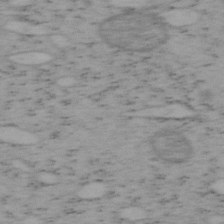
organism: Mouse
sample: OT-I killer T cells with ID8 ovarian cancer cells